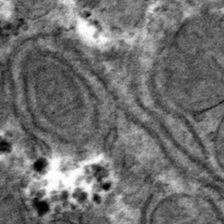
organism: Mouse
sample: Mouse hepatocytes